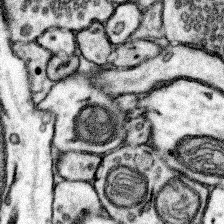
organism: Mouse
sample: Somatosensory cortex neuropil